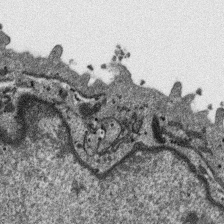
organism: Human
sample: Lung epithelial cells infected with SARS-CoV-2